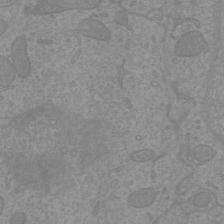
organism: Mouse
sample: Cortical neurons